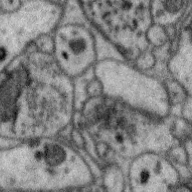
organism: Zebra finch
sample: Brain